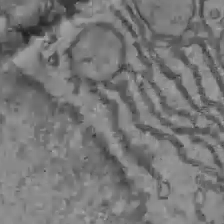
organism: C57BL Mouse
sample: Liver